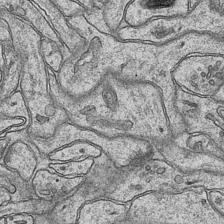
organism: Mouse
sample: CA1 Hippocampus